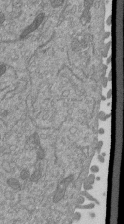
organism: Mouse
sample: ED-1 cell nuclei; centrioles